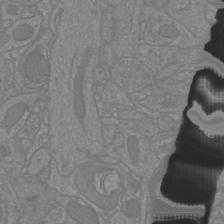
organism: Mouse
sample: Cortical neurons